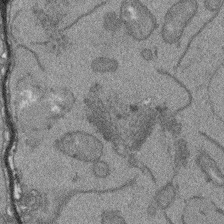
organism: Arabidopsis thaliana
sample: Root tip